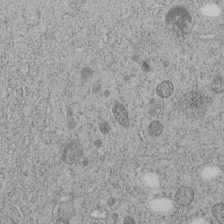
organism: C. elegans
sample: C. elegans embryo early stage